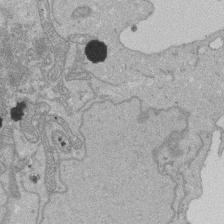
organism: Human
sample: Activated Jurkat CD4+ T cells